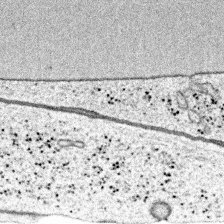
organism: Human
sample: HeLa cells